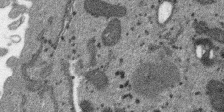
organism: Human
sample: Lung epithelial cells infected with SARS-CoV-2